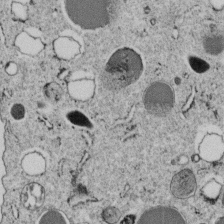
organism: C. elegans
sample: C. elegans embryo early stage